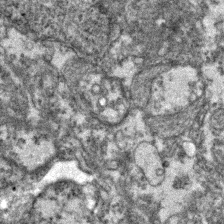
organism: Zebrafish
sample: Zebrafish embryo